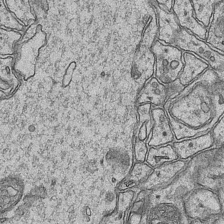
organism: Mouse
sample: CA1 Hippocampus